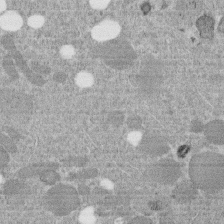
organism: C. elegans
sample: C. elegans embryo early stage